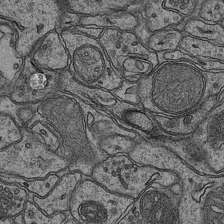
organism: Mouse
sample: CA1 Hippocampus